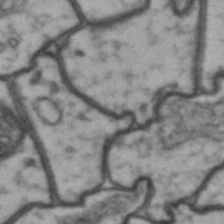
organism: Drosophila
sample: Brain